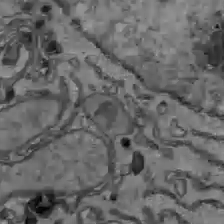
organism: C57BL Mouse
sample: Liver